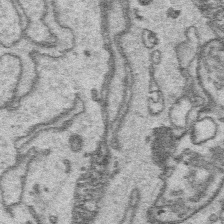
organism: Platynereis dumerilii